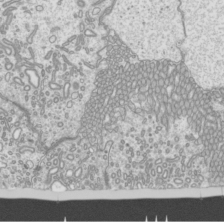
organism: Mouse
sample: Cilia; mouse epididymis